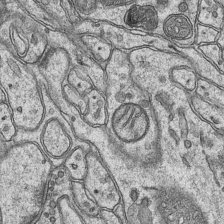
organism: Mouse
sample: CA1 Hippocampus